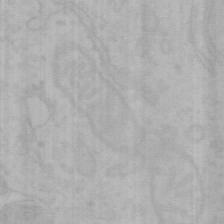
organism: Mouse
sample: Choroid plexus